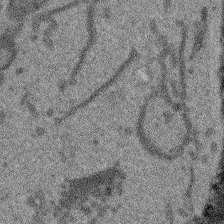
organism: Arabidopsis thaliana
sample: Root tip